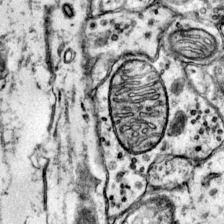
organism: Mouse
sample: Primary visual cortex